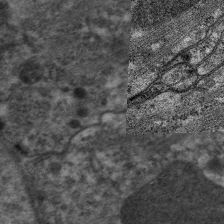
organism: C. elegans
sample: Pharynx